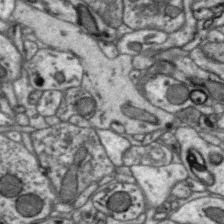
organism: Zebra finch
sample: Brain